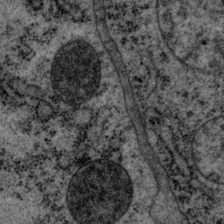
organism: P. pacificus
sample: Pharynx